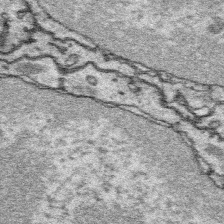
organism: Platynereis dumerilii